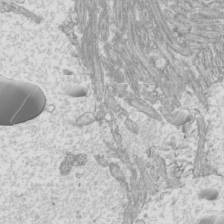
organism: Mouse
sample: Cilia; mouse epididymis